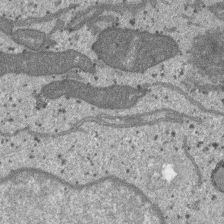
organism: Human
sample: Lung epithelial cells infected with SARS-CoV-2